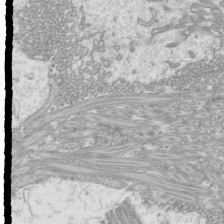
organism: Mouse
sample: Cilia; mouse epididymis